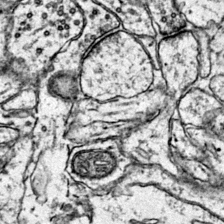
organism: Mouse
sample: Primary visual cortex